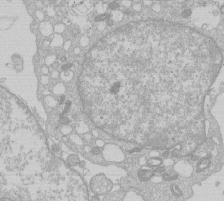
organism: Human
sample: Macrophage cells